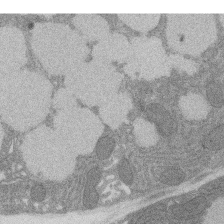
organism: Rat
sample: Salivary granule